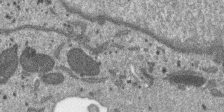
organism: Human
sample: Lung epithelial cells infected with SARS-CoV-2